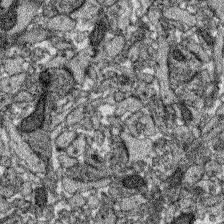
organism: Zebrafish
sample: Larval olfactory bulb